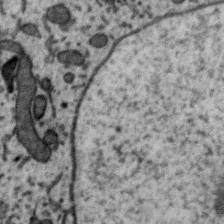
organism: Zebra finch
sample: Brain